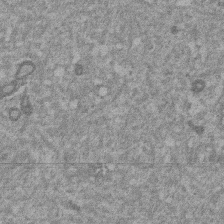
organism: Mouse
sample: Dividing mouse embryo 1 cell stage